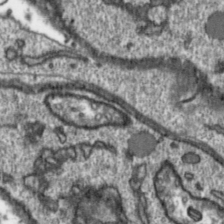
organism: Toxoplasma gondii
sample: Parasites in a vacuole inside a host cell